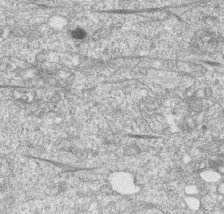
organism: Human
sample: HeLa cell HIV synapse